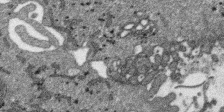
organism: Human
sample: Lung epithelial cells infected with SARS-CoV-2